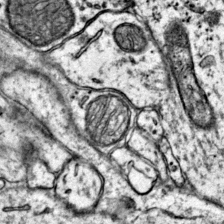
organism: Mouse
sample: Primary visual cortex